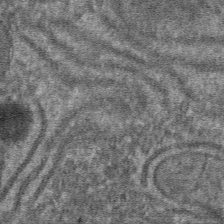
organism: Mouse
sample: Mouse hepatocytes